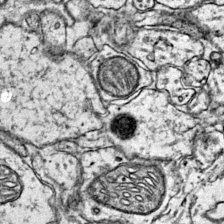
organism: Mouse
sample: Primary visual cortex